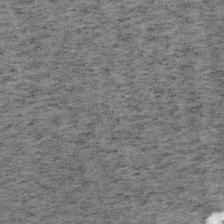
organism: Mouse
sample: OT-I killer T cells with ID8 ovarian cancer cells